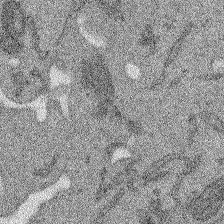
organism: Human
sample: HeLa cells